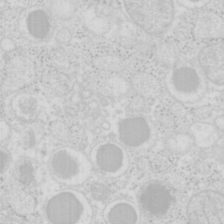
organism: Mouse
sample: Pancreas